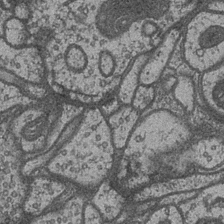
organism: Drosophila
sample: Optic medulla